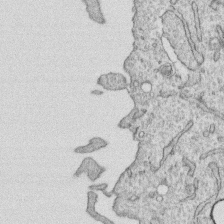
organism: Human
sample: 1205lu cells